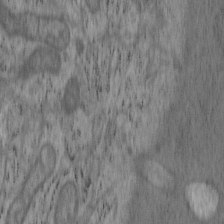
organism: Human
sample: HeLa cells